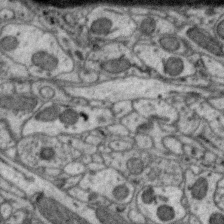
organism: Zebra finch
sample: Brain